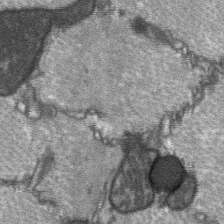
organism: C57BL Mouse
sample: Soleus